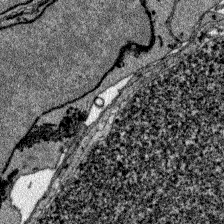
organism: Zebrafish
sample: Larval olfactory bulb